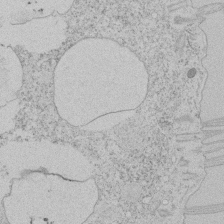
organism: Tetrahymena